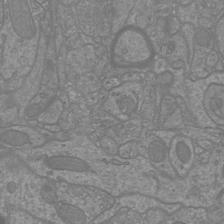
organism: Mouse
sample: Cortical neurons